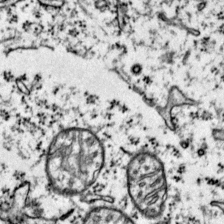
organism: Mouse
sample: Primary visual cortex